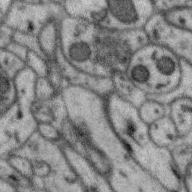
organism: Zebra finch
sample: Brain